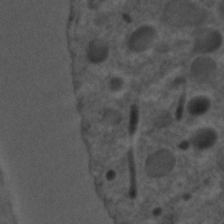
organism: C. elegans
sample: C. elegans embryo